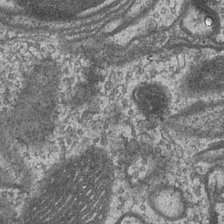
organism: Drosophila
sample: Optic medulla